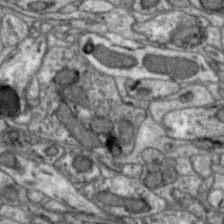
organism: Zebra finch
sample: Brain